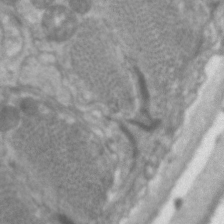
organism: C. elegans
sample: Pharynx